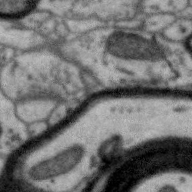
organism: Zebra finch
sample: Brain